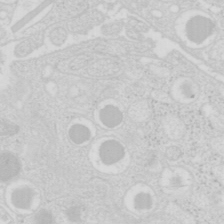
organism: Mouse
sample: Pancreas